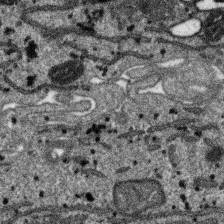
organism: Human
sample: Lung epithelial cells infected with SARS-CoV-2